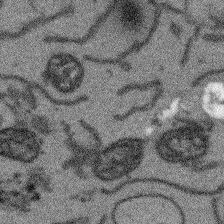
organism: Arabidopsis thaliana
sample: Root tip